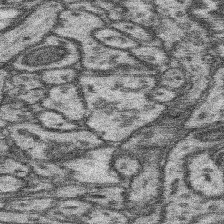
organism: Mouse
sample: Somatosensory cortex neuropil